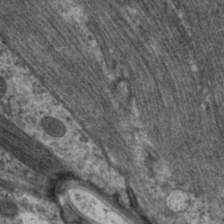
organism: C. elegans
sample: Pharynx